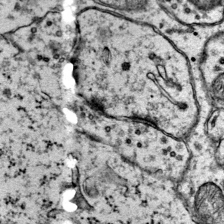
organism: Mouse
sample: Primary visual cortex